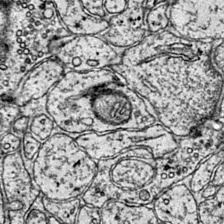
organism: Mouse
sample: Primary visual cortex